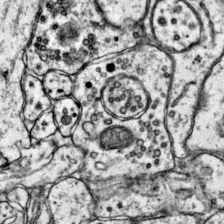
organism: Mouse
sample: Primary visual cortex